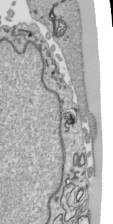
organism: Human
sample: Mitochondria in HCT116 cells